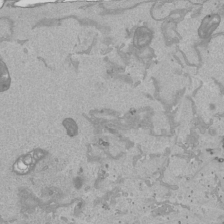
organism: Human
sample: Mitochondria in HCT116 cells